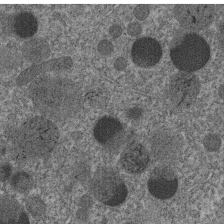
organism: C. elegans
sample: C. elegans embryo early stage